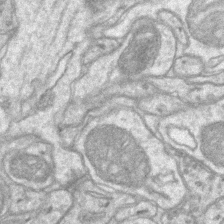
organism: Mouse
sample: CA1 Hippocampus